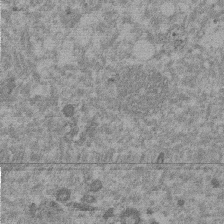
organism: Mouse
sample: Dividing mouse embryo 1 cell stage